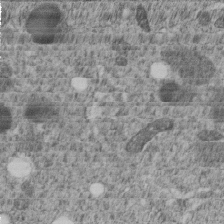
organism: C. elegans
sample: C. elegans embryo early stage